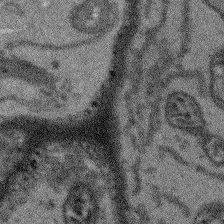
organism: Arabidopsis thaliana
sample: Root tip